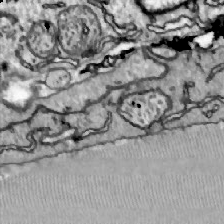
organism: Zebrafish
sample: Actinotrichia fibers